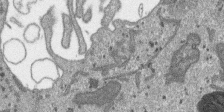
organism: Human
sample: Lung epithelial cells infected with SARS-CoV-2